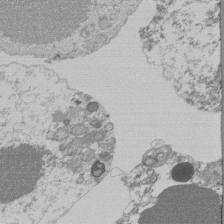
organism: Mouse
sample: Activated Pmel transgenic CD8+ T Cells